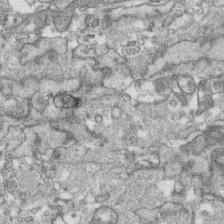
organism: Human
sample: CRL-1474